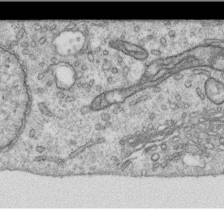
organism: Human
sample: Centriole in RPE cells